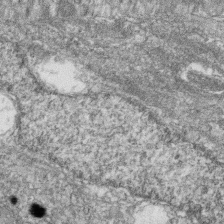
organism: Zebrafish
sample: Cilia; retinal pigment epithelium